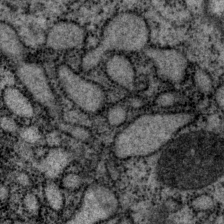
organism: P. pacificus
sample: Pharynx